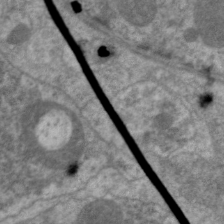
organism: C. elegans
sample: Pharynx